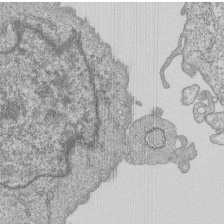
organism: Human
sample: MDA-MB-231 cells